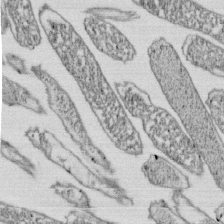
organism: E. coli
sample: Bacterial nucleoid